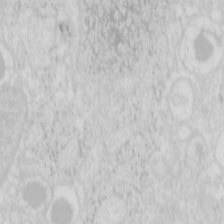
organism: Mouse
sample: Pancreas